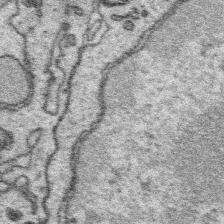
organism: Platynereis dumerilii